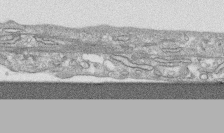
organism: Human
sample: CRL-1474